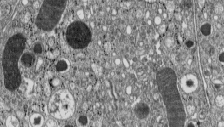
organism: C57BL Mouse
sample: Pancreatic islet